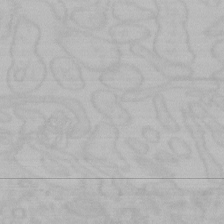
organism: Mouse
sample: Choroid plexus